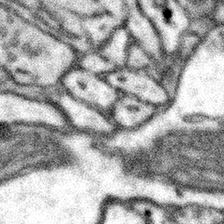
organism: Mouse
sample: Somatosensory cortex neuropil